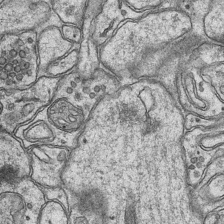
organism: Mouse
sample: CA1 Hippocampus